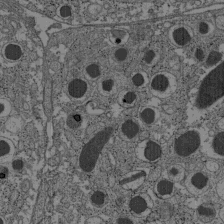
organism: C57BL Mouse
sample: Pancreatic islet